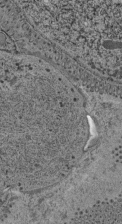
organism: C. elegans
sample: C. elegans pharynx